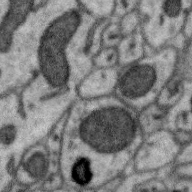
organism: Zebra finch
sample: Brain